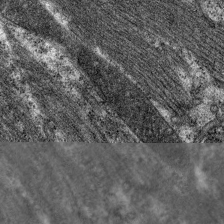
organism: C. elegans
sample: Pharynx